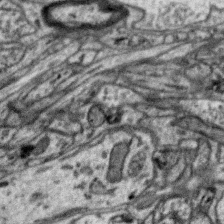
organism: Zebra finch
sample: Brain